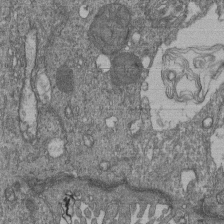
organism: Human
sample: Retinal organoid Rod and Cone cells